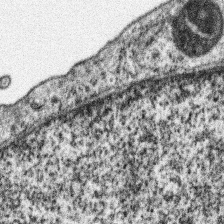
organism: Human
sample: HeLa cells